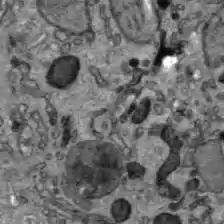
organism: C57BL Mouse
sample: Liver